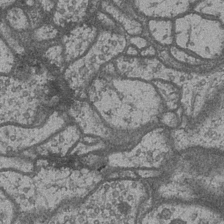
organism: Drosophila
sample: Optic medulla